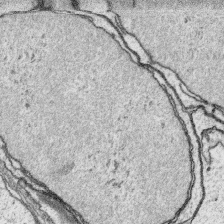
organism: Platynereis dumerilii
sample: Parapodia